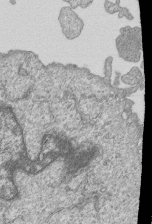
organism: Human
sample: MDA-MB-231 cells